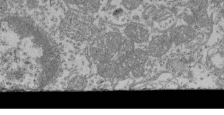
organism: Mouse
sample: Glomerulus